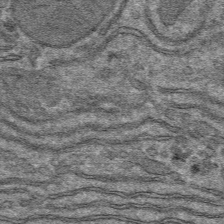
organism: Mouse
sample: Mouse hepatocytes